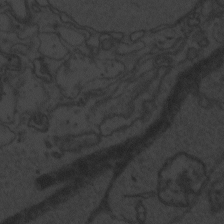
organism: Zebrafish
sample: Macrophage infected with Toxoplasma gondii